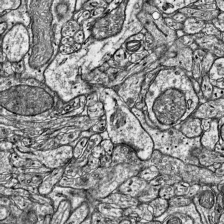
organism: Mouse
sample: Visual Cortex